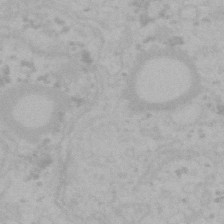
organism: Mouse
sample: Choroid plexus